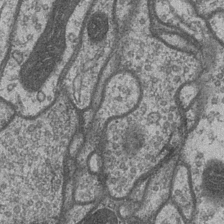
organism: Drosophila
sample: Optic medulla